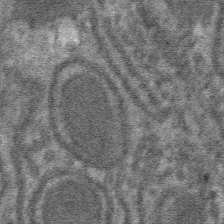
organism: Mouse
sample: Mouse hepatocytes